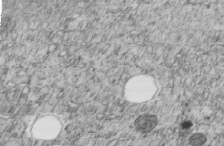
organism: C. elegans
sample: C. elegans embryo early stage